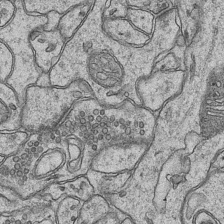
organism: Mouse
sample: CA1 Hippocampus